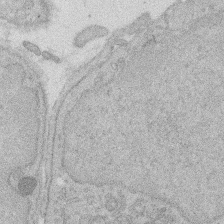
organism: Rat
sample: Salivary granule